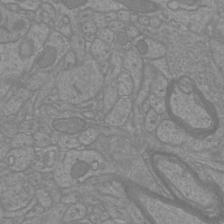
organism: Mouse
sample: Cortical neurons